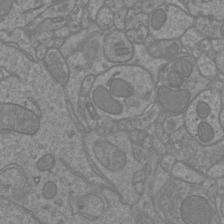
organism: Mouse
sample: Cortical neurons